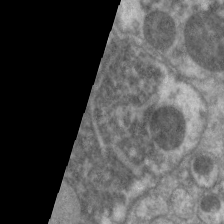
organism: C. elegans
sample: Pharynx